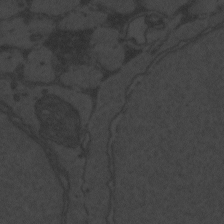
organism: Zebrafish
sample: Macrophage infected with Toxoplasma gondii